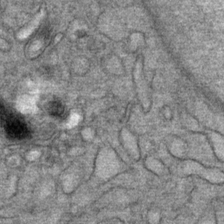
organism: Mouse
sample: Mouse Salivary gland